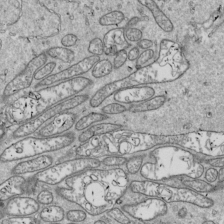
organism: Drosophila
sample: Cell division; meiosis; drosophila spermatocytes